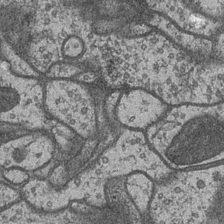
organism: Drosophila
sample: Optic medulla